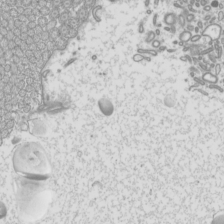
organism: Mouse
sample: Cilia; mouse epididymis